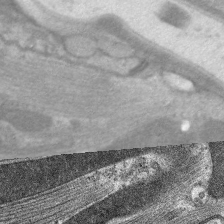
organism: C. elegans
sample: Pharynx